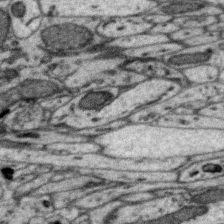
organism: Zebra finch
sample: Brain